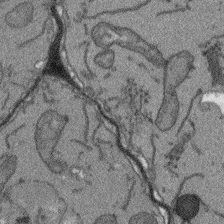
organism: Arabidopsis thaliana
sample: Root tip